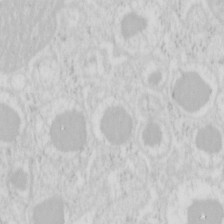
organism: Mouse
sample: Pancreas